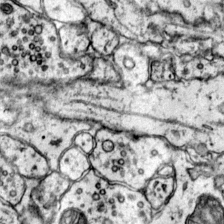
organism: Mouse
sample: Primary visual cortex